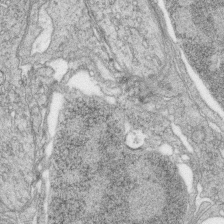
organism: Zebrafish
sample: synaptic ribbons in rod cells and cone cells